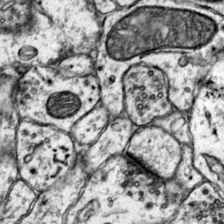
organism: Mouse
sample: Primary visual cortex